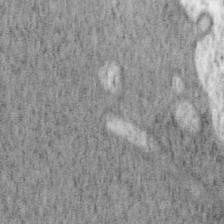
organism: Mouse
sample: OT-I killer T cells with ID8 ovarian cancer cells